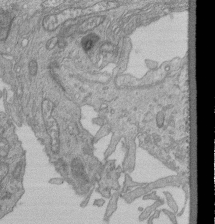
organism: Human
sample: Retinal organoid Rod and Cone cells